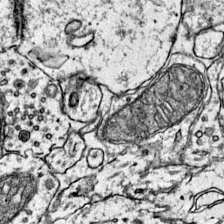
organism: Mouse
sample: Primary visual cortex